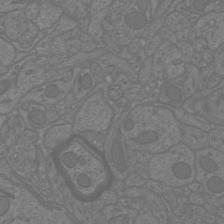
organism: Mouse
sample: Cortical neurons